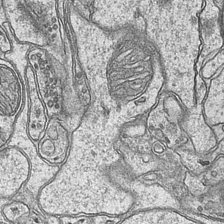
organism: Mouse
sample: CA1 Hippocampus